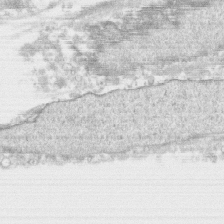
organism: Human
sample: CRL-1474